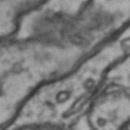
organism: Drosophila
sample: Brain